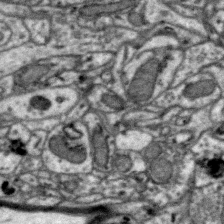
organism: Zebra finch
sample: Brain